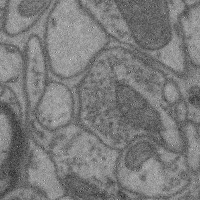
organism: Mouse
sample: Cerebral cortex